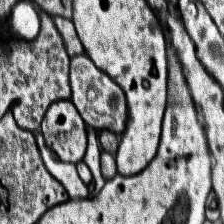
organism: Human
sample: Temporal Lobe